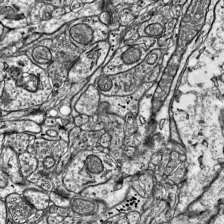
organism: Mouse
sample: Visual Cortex